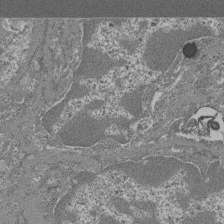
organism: Mouse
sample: Glomerulus